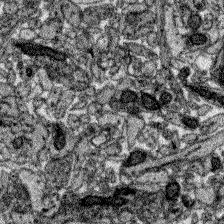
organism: Zebrafish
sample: Larval olfactory bulb